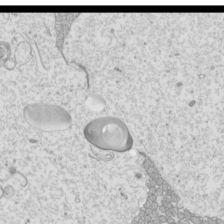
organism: Mouse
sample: Cilia; mouse epididymis